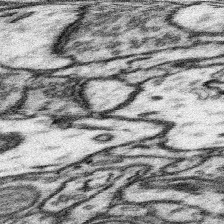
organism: Mouse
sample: Somatosensory cortex neuropil